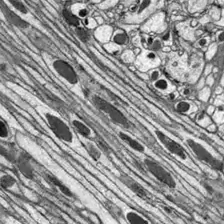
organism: Drosophila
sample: Optic lobe